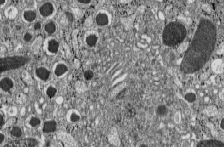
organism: C57BL Mouse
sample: Pancreatic islet